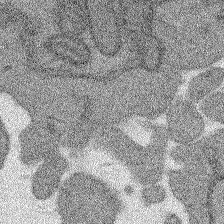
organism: Human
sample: HeLa cells